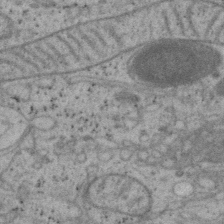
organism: Human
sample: HeLa cells